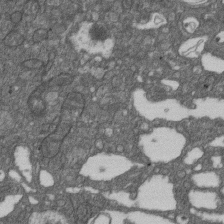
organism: Drosophila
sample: Nephrocyte